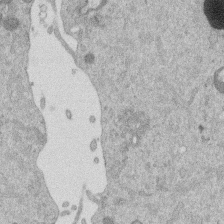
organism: Mouse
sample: Dividing mouse embryo 1 cell stage